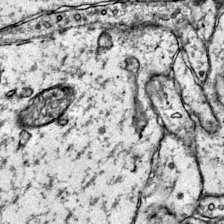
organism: Mouse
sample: Primary visual cortex